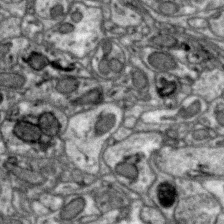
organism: Zebra finch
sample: Brain